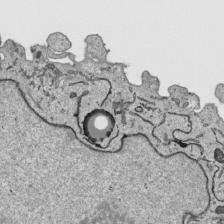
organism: Human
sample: Mitochondria in HCT116 cells